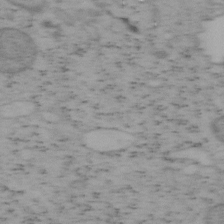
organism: Mouse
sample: OT-I killer T cells with ID8 ovarian cancer cells